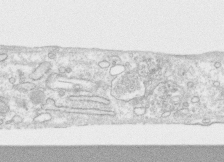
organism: Human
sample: CRL-1474